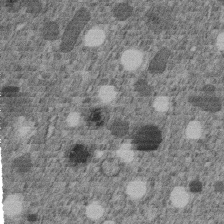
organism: C. elegans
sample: C. elegans embryo early stage